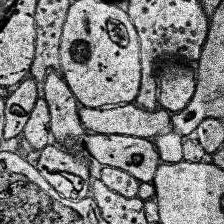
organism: Human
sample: Temporal Lobe